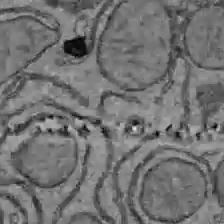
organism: C57BL Mouse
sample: Liver